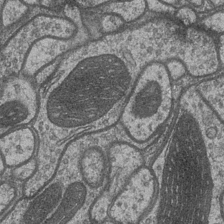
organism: Drosophila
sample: Optic medulla